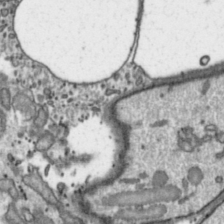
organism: Toxoplasma gondii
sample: Parasites in a vacuole inside a host cell